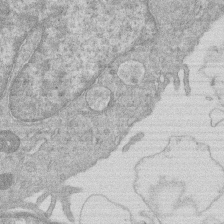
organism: Human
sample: Macrophage cells